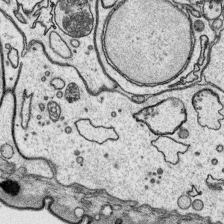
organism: Platynereis dumerilii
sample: Parapodia